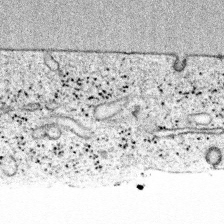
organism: Human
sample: HeLa cells